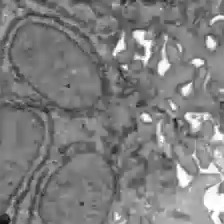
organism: C57BL Mouse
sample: Liver